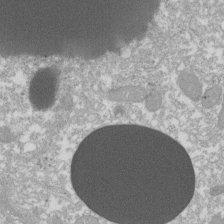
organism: Xenopus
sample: Cilia; centrioles in frog embryo cells